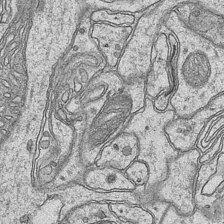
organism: Mouse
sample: CA1 Hippocampus